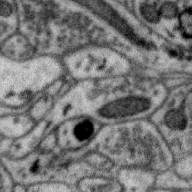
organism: Zebra finch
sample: Brain